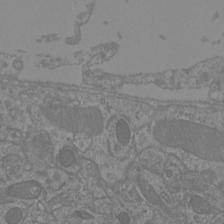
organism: Mouse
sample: Cortical neurons